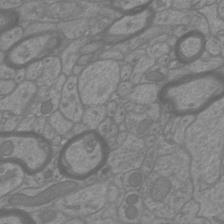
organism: Mouse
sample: Cortical neurons